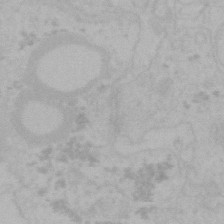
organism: Mouse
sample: Choroid plexus